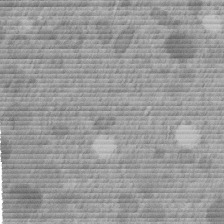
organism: C. elegans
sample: C. elegans embryo early stage